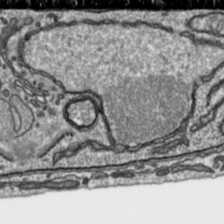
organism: Toxoplasma gondii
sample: Parasites in a vacuole inside a host cell